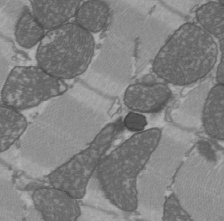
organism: C57BL Mouse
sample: Heart